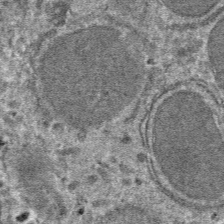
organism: Mouse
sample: Mouse hepatocytes